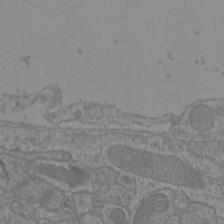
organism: Mouse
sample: Cortical neurons